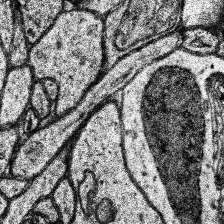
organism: Human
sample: Temporal Lobe